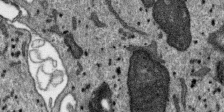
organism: Human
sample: Lung epithelial cells, uninfected (mock) control